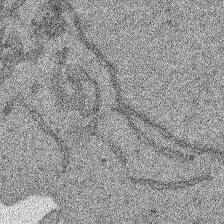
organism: Human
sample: HeLa cells